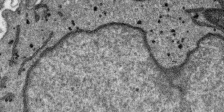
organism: Human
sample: Lung epithelial cells, uninfected (mock) control